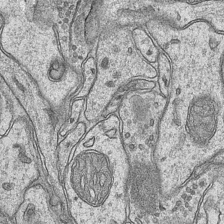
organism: Mouse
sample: CA1 Hippocampus